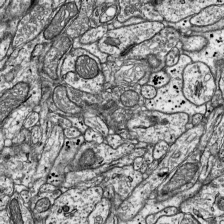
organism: Mouse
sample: Visual Cortex